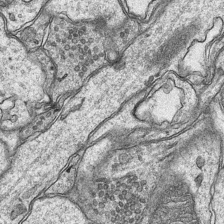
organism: Mouse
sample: CA1 Hippocampus